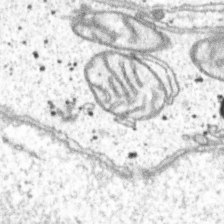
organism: Human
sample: HeLa cells